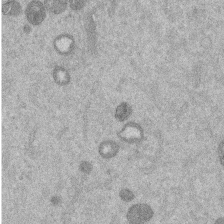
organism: Mouse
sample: Dividing mouse embryo 1 cell stage